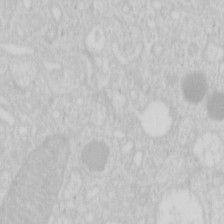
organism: Mouse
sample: Pancreas